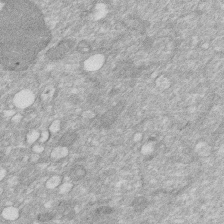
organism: Human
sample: HIV infected U937 cells